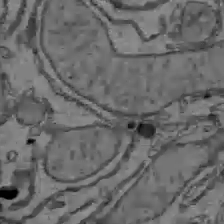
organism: C57BL Mouse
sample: Liver